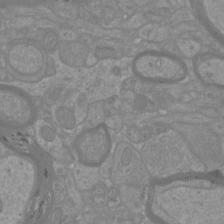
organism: Mouse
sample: Cortical neurons